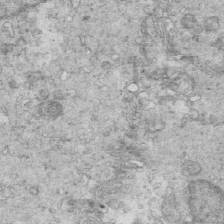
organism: Mouse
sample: Multiciliated cells